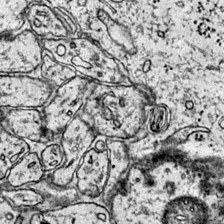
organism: Mouse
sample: Primary visual cortex